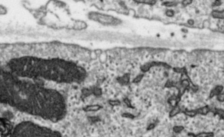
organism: Toxoplasma gondii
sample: Parasites in a vacuole inside a host cell